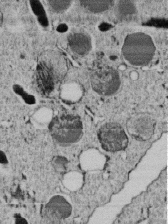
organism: C. elegans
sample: C. elegans embryo early stage